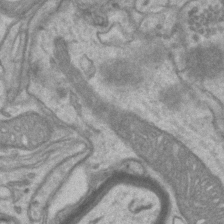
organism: Mouse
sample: CA1 Hippocampus